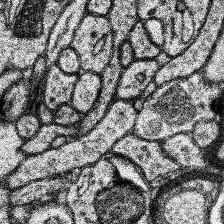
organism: Human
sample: Temporal Lobe